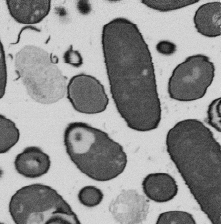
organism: B. subtilis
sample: Bacterial spore